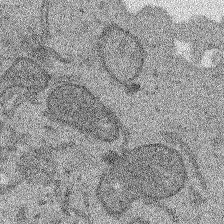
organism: Human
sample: HeLa cells